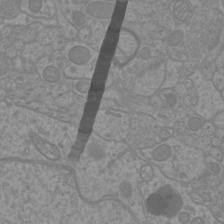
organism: Mouse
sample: Cortical neurons